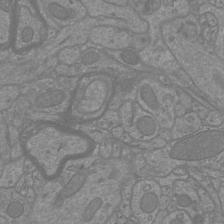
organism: Mouse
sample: Cortical neurons